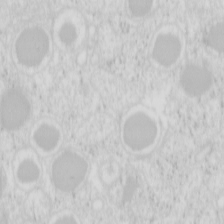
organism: Mouse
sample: Pancreas